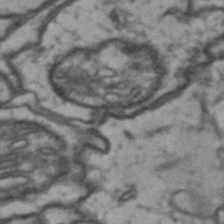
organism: Drosophila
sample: Brain